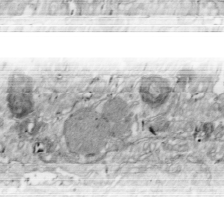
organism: Drosophila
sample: Cell division; meiosis; drosophila spermatocytes